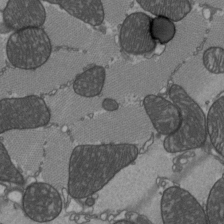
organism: C57BL Mouse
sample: Heart